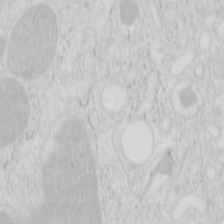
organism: Mouse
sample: Pancreas